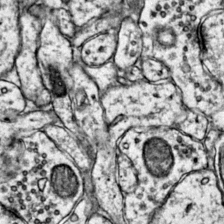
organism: Mouse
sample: Primary visual cortex